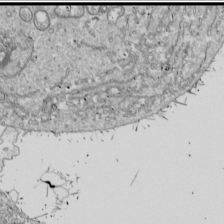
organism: Drosophila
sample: Cell division; meiosis; drosophila spermatocytes